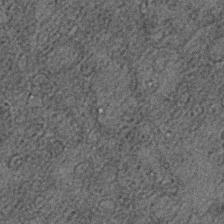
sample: Trachea